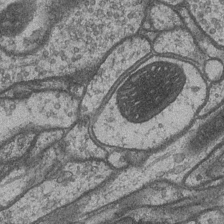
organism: Drosophila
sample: Optic medulla